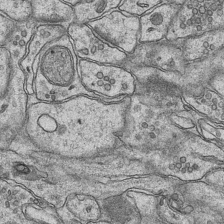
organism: Mouse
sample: CA1 Hippocampus